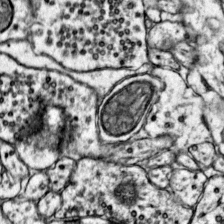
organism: Mouse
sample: Primary visual cortex